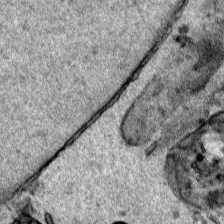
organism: Human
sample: Mitochondria in HCT116 cells